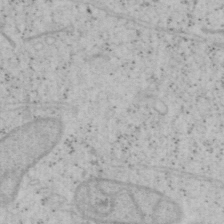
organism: Human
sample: HeLa cells